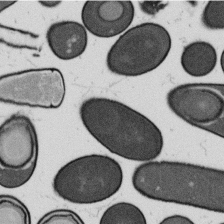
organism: B. subtilis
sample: Bacterial spore